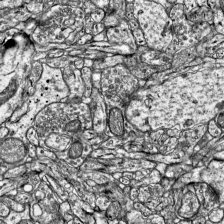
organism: Mouse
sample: Visual Cortex